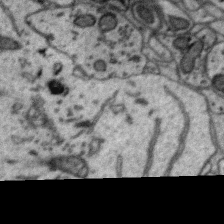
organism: Zebra finch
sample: Brain